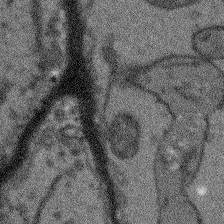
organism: Arabidopsis thaliana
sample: Root tip